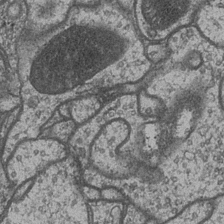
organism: Drosophila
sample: Optic medulla